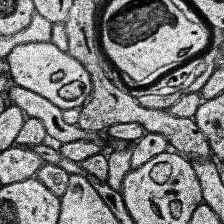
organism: Human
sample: Temporal Lobe